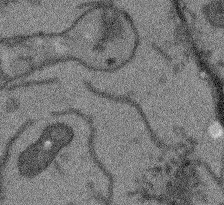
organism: Arabidopsis thaliana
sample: Root tip